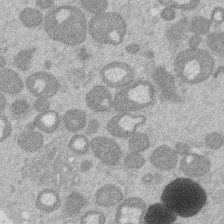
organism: Mouse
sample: Dividing mouse embryo 1 cell stage